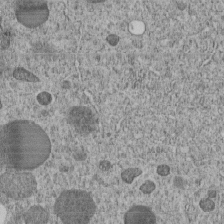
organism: C. elegans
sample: C. elegans embryo early stage